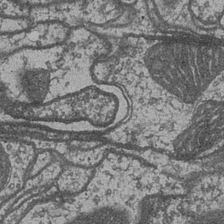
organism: Drosophila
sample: Optic medulla